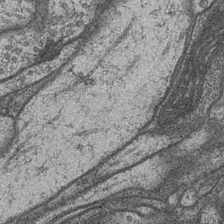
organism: Drosophila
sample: Optic medulla